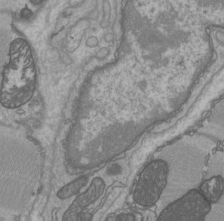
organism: C57BL Mouse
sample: Heart